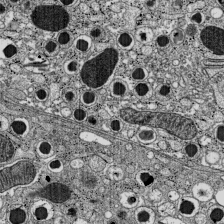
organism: C57BL Mouse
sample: Pancreatic islet